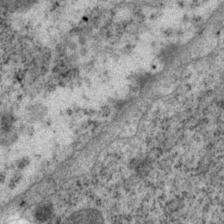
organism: P. pacificus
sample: Pharynx